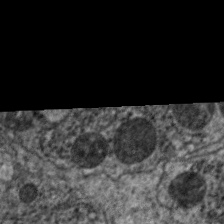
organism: C. elegans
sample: Pharynx